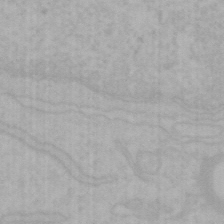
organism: Mouse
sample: Choroid plexus